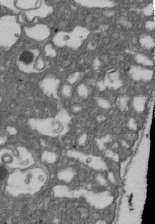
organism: Drosophila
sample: Nephrocyte